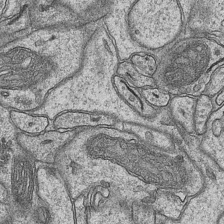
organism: Mouse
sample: CA1 Hippocampus